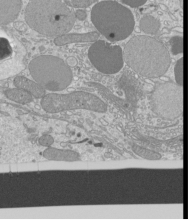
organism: Mouse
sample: Cilia; mouse epididymis